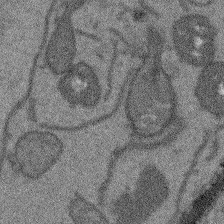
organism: Arabidopsis thaliana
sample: Root tip